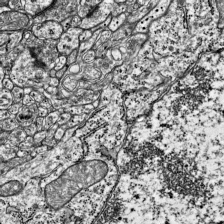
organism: Mouse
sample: Visual Cortex